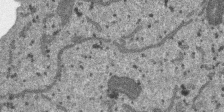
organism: Human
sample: Lung epithelial cells infected with SARS-CoV-2